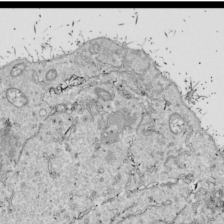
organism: Drosophila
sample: Cell division; meiosis; drosophila spermatocytes